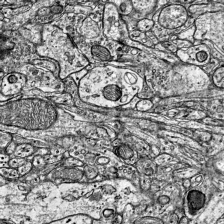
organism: Mouse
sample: Visual Cortex